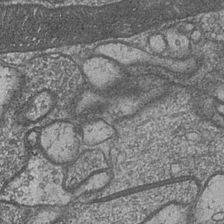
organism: Drosophila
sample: Optic medulla